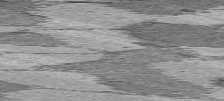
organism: C57BL Mouse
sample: Heart